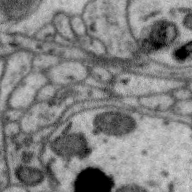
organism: Zebra finch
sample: Brain